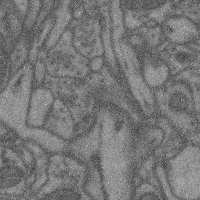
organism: Mouse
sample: Cerebral cortex